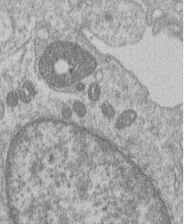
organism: Human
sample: Macrophage cells